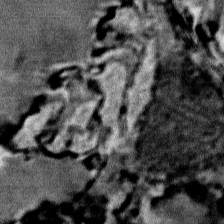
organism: Mouse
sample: Mouse Salivary gland